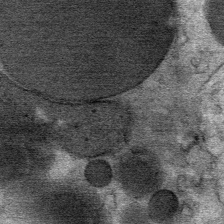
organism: Mouse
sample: Mouse Salivary gland